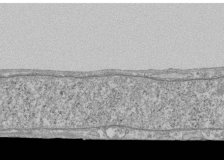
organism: Human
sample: Fibroblast cells